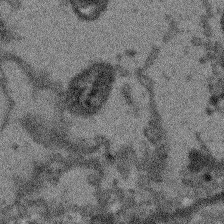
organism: Arabidopsis thaliana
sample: Root tip